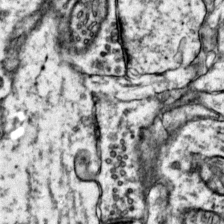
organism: Mouse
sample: Primary visual cortex